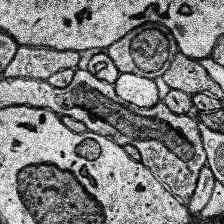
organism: Human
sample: Temporal Lobe